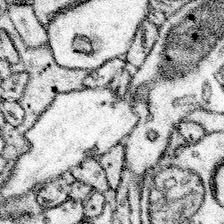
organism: Mouse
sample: Somatosensory cortex neuropil